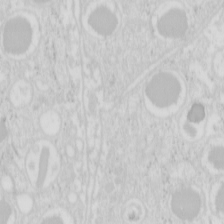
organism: Mouse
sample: Pancreas